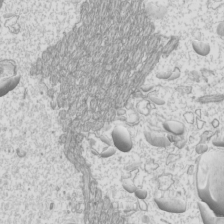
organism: Mouse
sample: Cilia; mouse epididymis